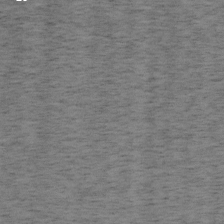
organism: Mouse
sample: OT-I killer T cells with ID8 ovarian cancer cells